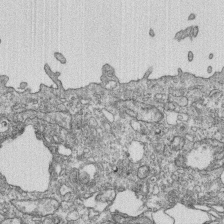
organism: Human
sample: HeLa cell HIV synapse